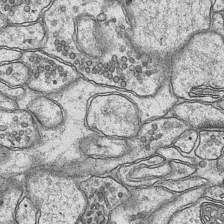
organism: Mouse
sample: CA1 Hippocampus